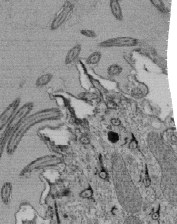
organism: Tetrahymena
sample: Cilia in tetrahymena